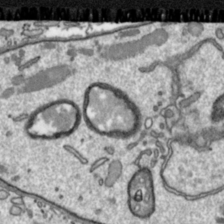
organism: Toxoplasma gondii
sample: Parasites in a vacuole inside a host cell